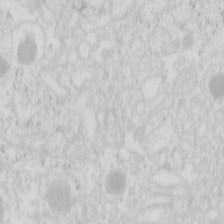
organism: Mouse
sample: Pancreas